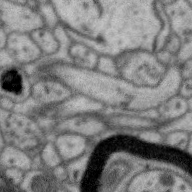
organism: Zebra finch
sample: Brain